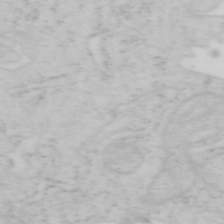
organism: Mouse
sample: OT-I killer T cells with ID8 ovarian cancer cells